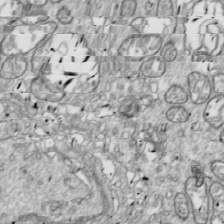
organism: Drosophila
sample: Cell division; meiosis; drosophila spermatocytes